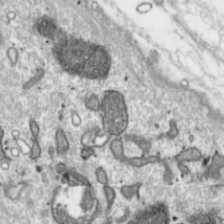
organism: Toxoplasma gondii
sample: Parasites in a vacuole inside a host cell